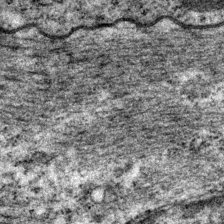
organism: P. pacificus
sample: Pharynx